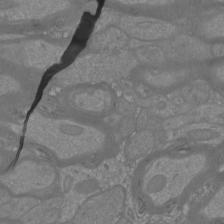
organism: Mouse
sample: Cortical neurons